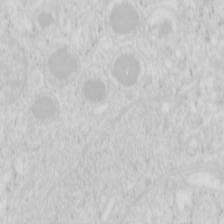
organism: Mouse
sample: Pancreas